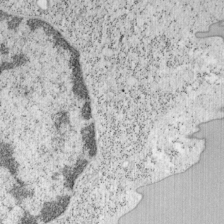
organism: Mouse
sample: OT-I killer T cells with ID8 ovarian cancer cells